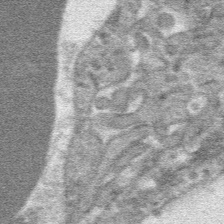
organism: Mouse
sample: Mouse hepatocytes